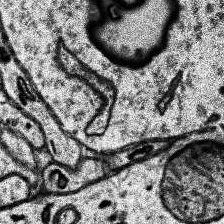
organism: Human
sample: Temporal Lobe